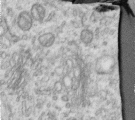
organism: Human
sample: Centriole in RPE cells